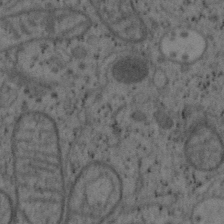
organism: Human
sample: HeLa cells